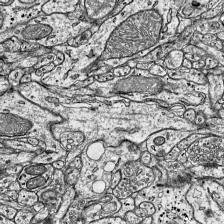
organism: Mouse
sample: Visual Cortex